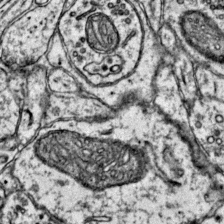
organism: Mouse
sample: Primary visual cortex